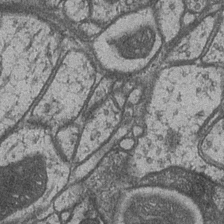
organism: Drosophila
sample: Optic medulla